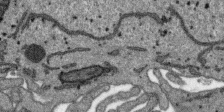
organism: Human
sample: Lung epithelial cells, uninfected (mock) control